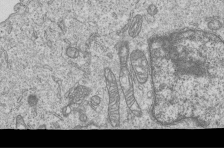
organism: Human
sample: MDA-MB-231 cells